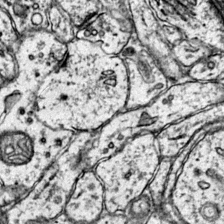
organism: Mouse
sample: Primary visual cortex